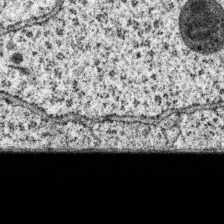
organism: Human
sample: HeLa cells